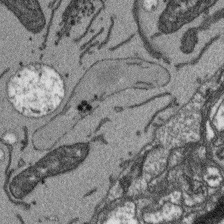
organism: Arabidopsis thaliana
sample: Root tip